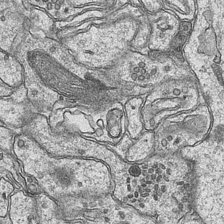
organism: Mouse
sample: CA1 Hippocampus